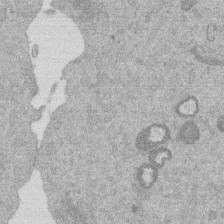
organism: Mouse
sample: Dividing mouse embryo 1 cell stage